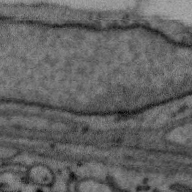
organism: Zebra finch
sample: Brain